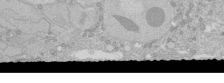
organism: Human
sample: Caco-2 cells